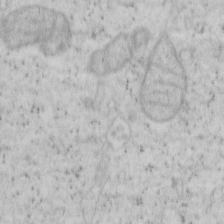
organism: Human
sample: HeLa cells